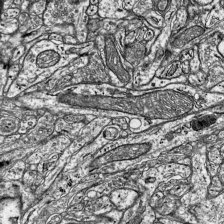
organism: Mouse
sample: Visual Cortex